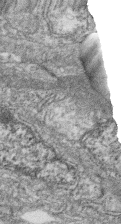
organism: Zebrafish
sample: Cilia; retinal pigment epithelium